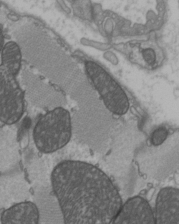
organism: C57BL Mouse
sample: Heart